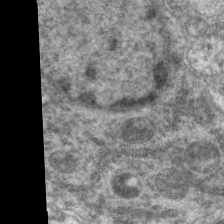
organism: C. elegans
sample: Pharynx